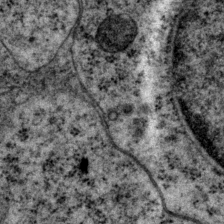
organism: P. pacificus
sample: Pharynx